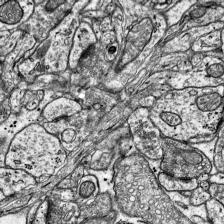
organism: Mouse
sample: Visual Cortex